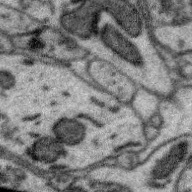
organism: Zebra finch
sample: Brain